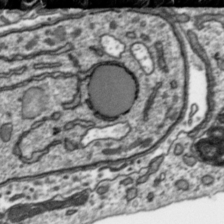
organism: Toxoplasma gondii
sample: Parasites in a vacuole inside a host cell